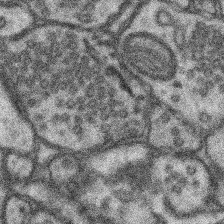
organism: Mouse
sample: Somatosensory cortex neuropil